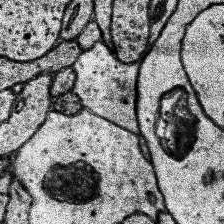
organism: Human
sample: Temporal Lobe